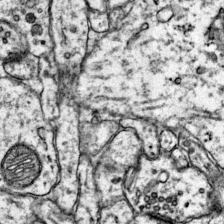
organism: Mouse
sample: Primary visual cortex